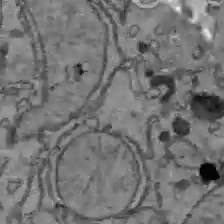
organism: C57BL Mouse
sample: Liver